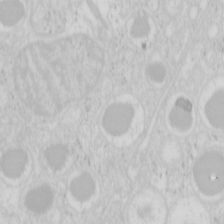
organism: Mouse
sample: Pancreas